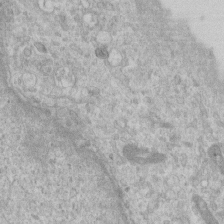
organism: Human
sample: Centriole in RPE cells